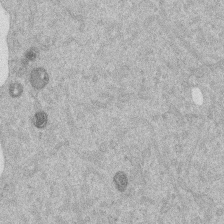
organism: Mouse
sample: Dividing mouse embryo 1 cell stage